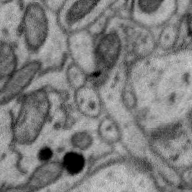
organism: Zebra finch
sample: Brain